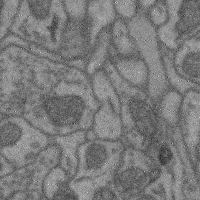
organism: Mouse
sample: Cerebral cortex